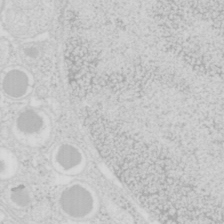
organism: Mouse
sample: Pancreas